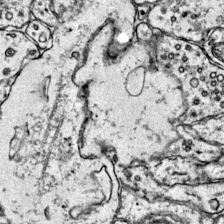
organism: Mouse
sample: Primary visual cortex